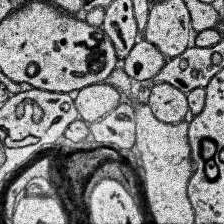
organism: Human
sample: Temporal Lobe